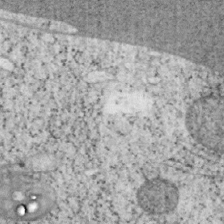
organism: Mouse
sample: OT-I killer T cells with ID8 ovarian cancer cells